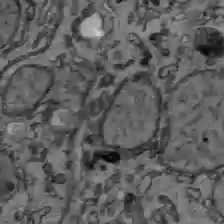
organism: C57BL Mouse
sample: Liver